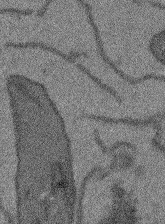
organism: Arabidopsis thaliana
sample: Root tip